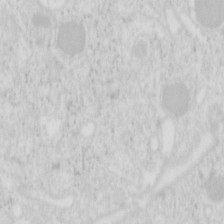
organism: Mouse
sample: Pancreas